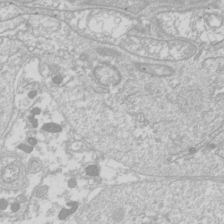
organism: Drosophila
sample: Cell division; meiosis; drosophila spermatocytes